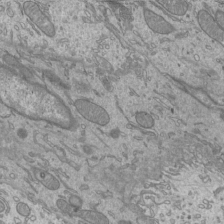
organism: Mouse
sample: Cilia; mouse epididymis